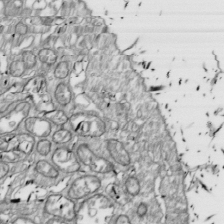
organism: Drosophila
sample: Cell division; meiosis; drosophila spermatocytes